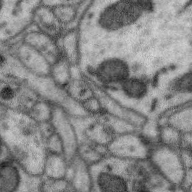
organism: Zebra finch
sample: Brain